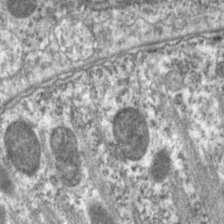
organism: C. elegans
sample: Pharynx